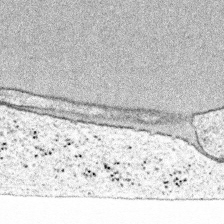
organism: Human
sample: HeLa cells